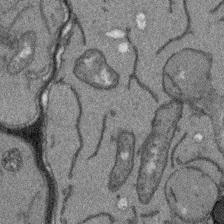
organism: Arabidopsis thaliana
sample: Root tip